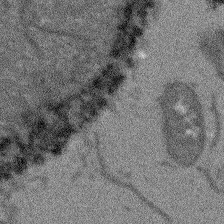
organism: Arabidopsis thaliana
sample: Root tip